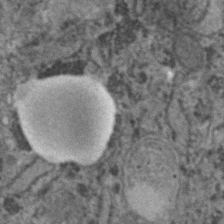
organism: Human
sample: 1205lu cells